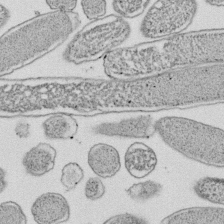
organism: E. coli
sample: Bacterial nucleoid